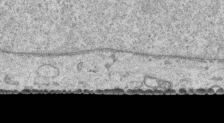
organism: Human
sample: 1205lu cells